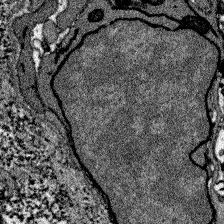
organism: Zebrafish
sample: Larval olfactory bulb